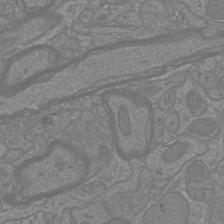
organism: Mouse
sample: Cortical neurons